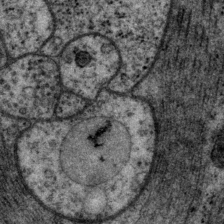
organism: P. pacificus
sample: Pharynx